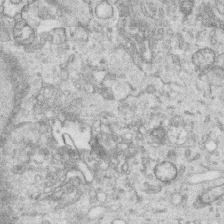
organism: Human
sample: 1205lu cells